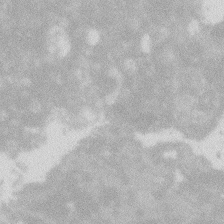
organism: Zebrafish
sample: Macrophage